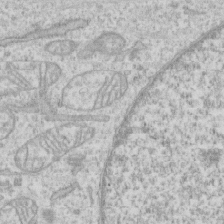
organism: Human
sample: CRL-1474